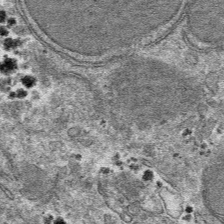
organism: Mouse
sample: Mouse hepatocytes